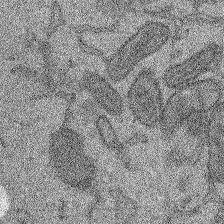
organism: Human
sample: HeLa cells